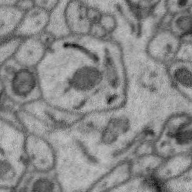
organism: Zebra finch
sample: Brain